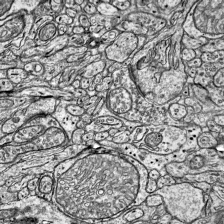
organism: Mouse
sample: Visual Cortex